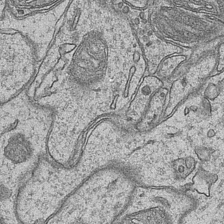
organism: Mouse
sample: CA1 Hippocampus